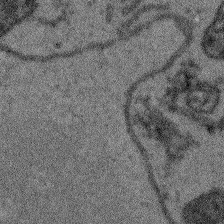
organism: Arabidopsis thaliana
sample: Root tip